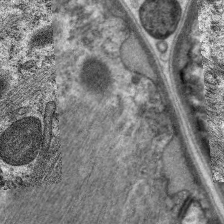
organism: C. elegans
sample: Pharynx